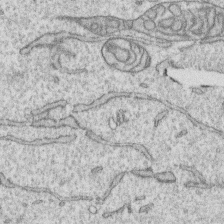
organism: Human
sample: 1205lu cells